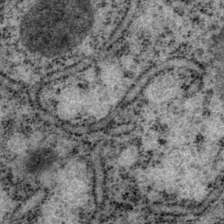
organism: P. pacificus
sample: Pharynx